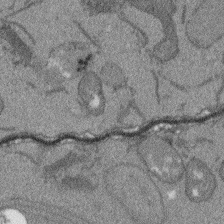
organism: Arabidopsis thaliana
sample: Root tip